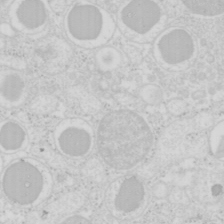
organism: Mouse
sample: Pancreas